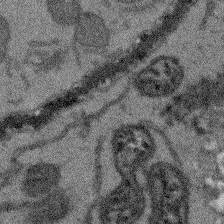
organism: Arabidopsis thaliana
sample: Root tip